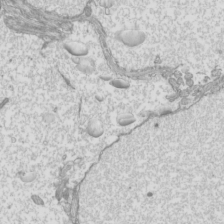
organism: Mouse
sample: Cilia; mouse epididymis